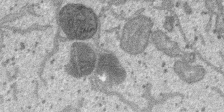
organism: Human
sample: Lung epithelial cells infected with SARS-CoV-2